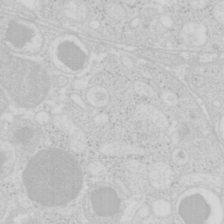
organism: Mouse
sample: Pancreas